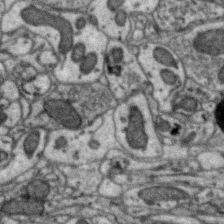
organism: Zebra finch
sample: Brain